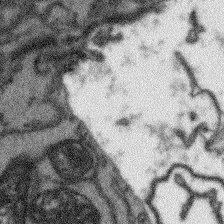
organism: Arabidopsis thaliana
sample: Root tip